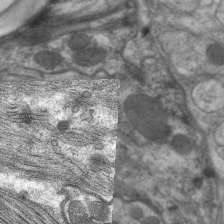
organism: C. elegans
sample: Pharynx